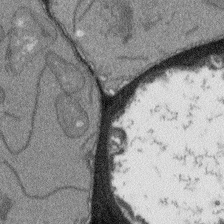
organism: Arabidopsis thaliana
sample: Root tip